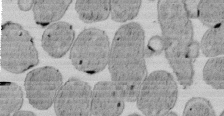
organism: E. coli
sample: Bacterial nucleoid